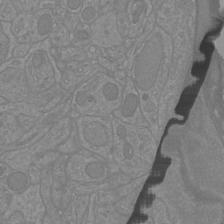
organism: Mouse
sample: Cortical neurons